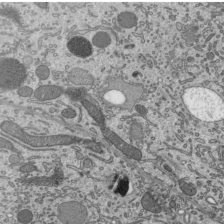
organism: Mouse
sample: Mouse epididymis efferent ductule cilia